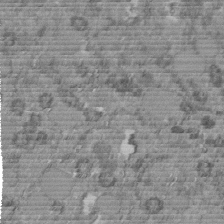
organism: C. elegans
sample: C. elegans embryo early stage